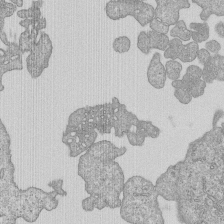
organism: Human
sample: MDA-MB-231 cells